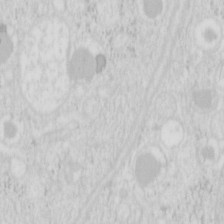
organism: Mouse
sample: Pancreas